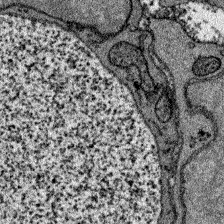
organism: Zebrafish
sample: Larval olfactory bulb